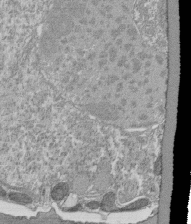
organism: Tetrahymena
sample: Cilia in tetrahymena